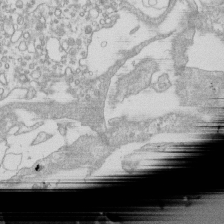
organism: Mouse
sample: Macrophages